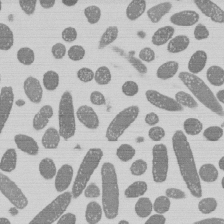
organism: E. coli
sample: Bacterial nucleoid